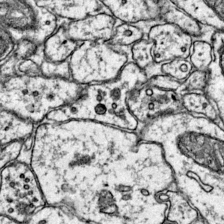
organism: Mouse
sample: Primary visual cortex